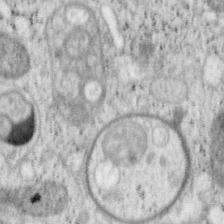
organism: Mouse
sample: OT-I killer T cells with ID8 ovarian cancer cells